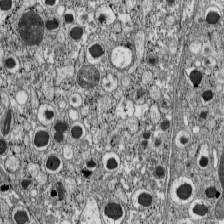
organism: C57BL Mouse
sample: Pancreatic islet